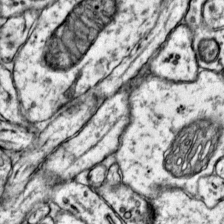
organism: Mouse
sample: Primary visual cortex